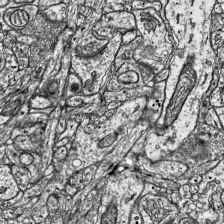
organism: Mouse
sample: Visual Cortex